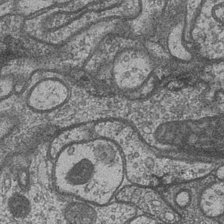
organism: Drosophila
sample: Optic medulla